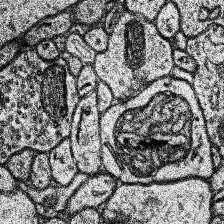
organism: Human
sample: Temporal Lobe